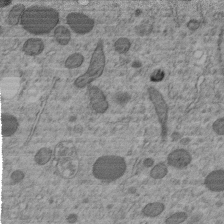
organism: C. elegans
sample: C. elegans embryo early stage